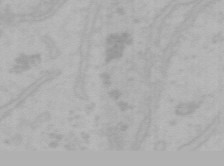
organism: Mouse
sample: Choroid plexus